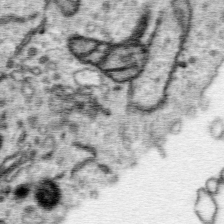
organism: Human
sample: HeLa cells